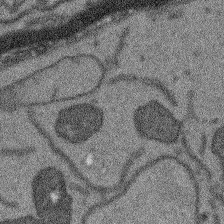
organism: Arabidopsis thaliana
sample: Root tip